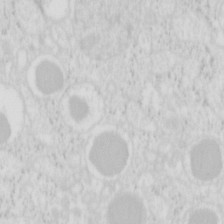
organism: Mouse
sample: Pancreas